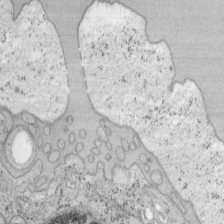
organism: Mouse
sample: OT-I killer T cells with ID8 ovarian cancer cells